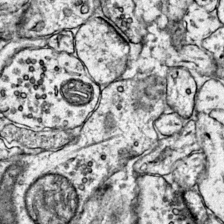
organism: Mouse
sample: Primary visual cortex